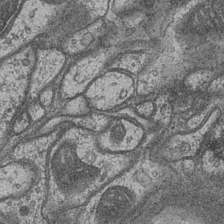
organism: Drosophila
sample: Optic medulla